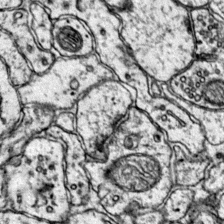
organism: Mouse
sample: Primary visual cortex